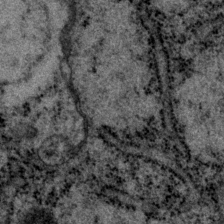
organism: P. pacificus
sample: Pharynx